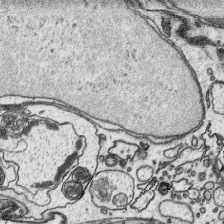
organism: Platynereis dumerilii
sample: Parapodia